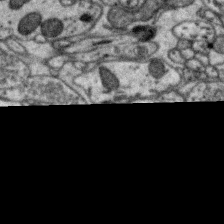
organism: Zebra finch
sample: Brain